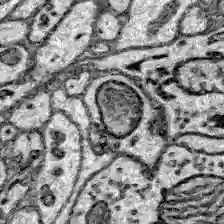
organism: Zebrafish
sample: Brain